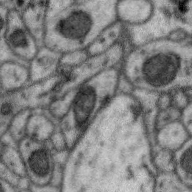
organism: Zebra finch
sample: Brain